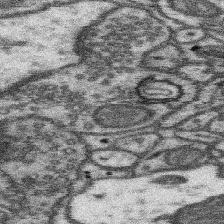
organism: Mouse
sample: Somatosensory cortex neuropil